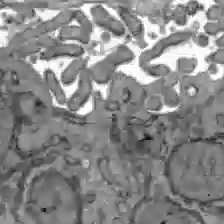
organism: C57BL Mouse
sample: Liver